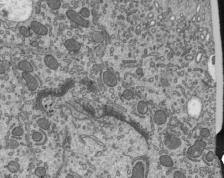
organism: Mouse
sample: Mouse epididymis efferent ductule cilia